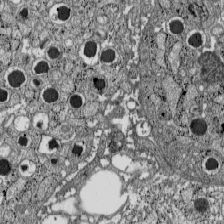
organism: C57BL Mouse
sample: Pancreatic islet